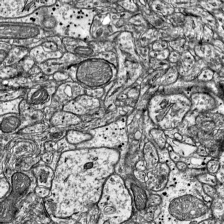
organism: Mouse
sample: Visual Cortex